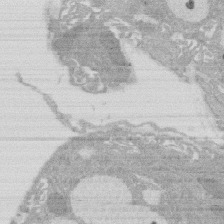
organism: Rat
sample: Salivary granule